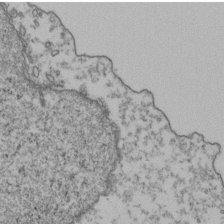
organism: Human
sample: Activated Jurkat CD4+ T cells